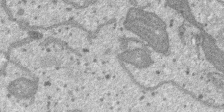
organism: Human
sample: Lung epithelial cells infected with SARS-CoV-2